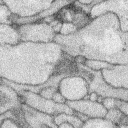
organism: Rabbit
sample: Retina